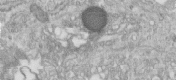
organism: Human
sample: Centriole in fibroblast cells